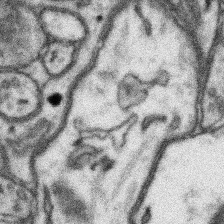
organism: Mouse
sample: Somatosensory cortex neuropil